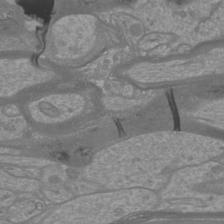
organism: Mouse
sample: Cortical neurons